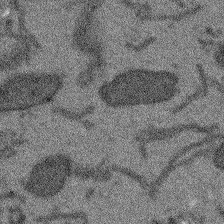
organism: Arabidopsis thaliana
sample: Root tip